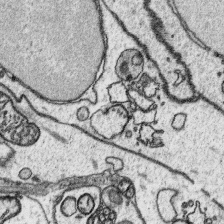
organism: Platynereis dumerilii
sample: Parapodia